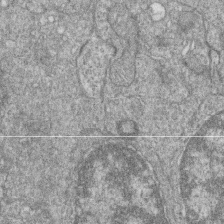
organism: Zebrafish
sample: Cilia; retinal pigment epithelium